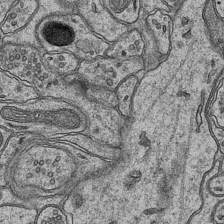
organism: Mouse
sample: CA1 Hippocampus